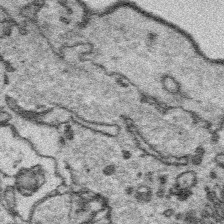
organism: Platynereis dumerilii